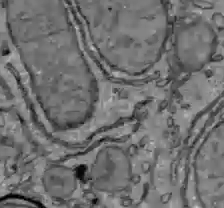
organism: C57BL Mouse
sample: Liver